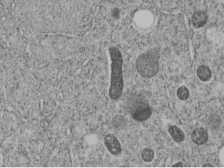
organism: C. elegans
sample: C. elegans embryo early stage